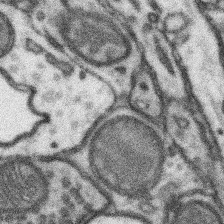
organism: Mouse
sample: Somatosensory cortex neuropil